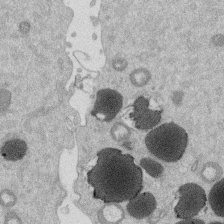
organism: Mouse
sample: Dividing mouse embryo 1 cell stage